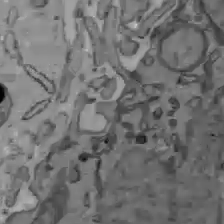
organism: C57BL Mouse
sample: Liver